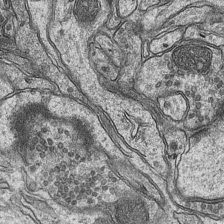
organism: Mouse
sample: CA1 Hippocampus